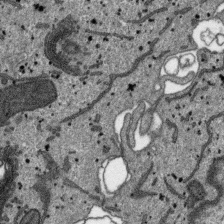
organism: Human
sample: Lung epithelial cells, uninfected (mock) control